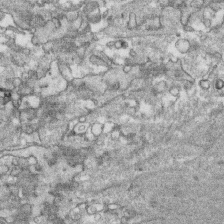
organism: Human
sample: CRL-1474